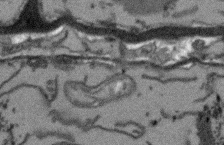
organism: Arabidopsis thaliana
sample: Root tip